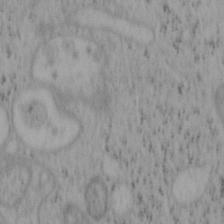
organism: Mouse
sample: OT-I killer T cells with ID8 ovarian cancer cells